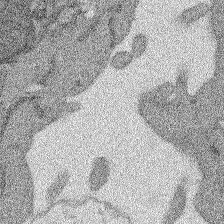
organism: Human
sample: HeLa cells